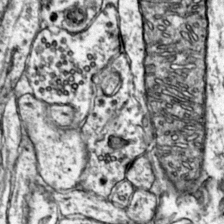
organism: Mouse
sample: Primary visual cortex